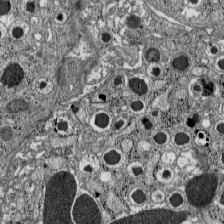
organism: C57BL Mouse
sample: Pancreatic islet